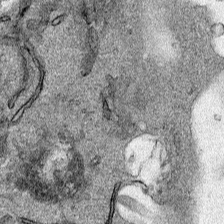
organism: Human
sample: Mitochondria in HCT116 cells